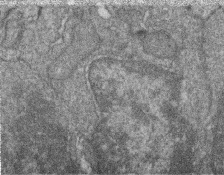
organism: Zebrafish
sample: Cilia; retinal pigment epithelium